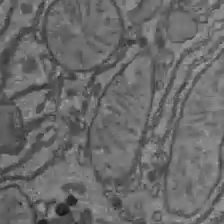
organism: C57BL Mouse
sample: Liver